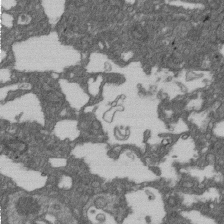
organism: Drosophila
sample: Nephrocyte